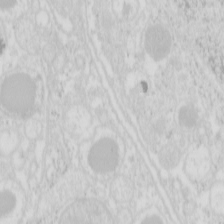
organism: Mouse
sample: Pancreas